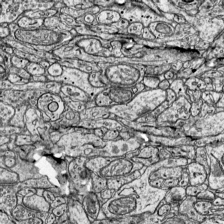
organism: Mouse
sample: Visual Cortex